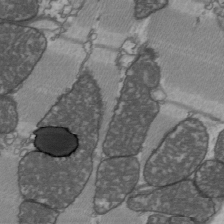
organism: C57BL Mouse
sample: Heart